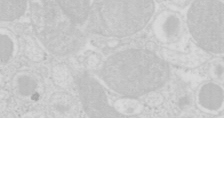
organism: Mouse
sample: Pancreas